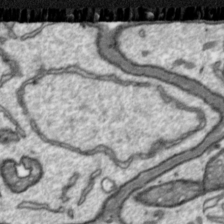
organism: Toxoplasma gondii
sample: Parasites in a vacuole inside a host cell